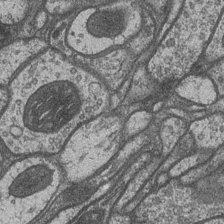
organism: Drosophila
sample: Optic medulla